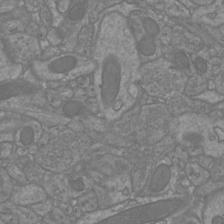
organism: Mouse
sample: Cortical neurons